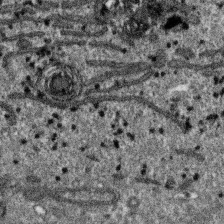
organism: Human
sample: Lung epithelial cells infected with SARS-CoV-2